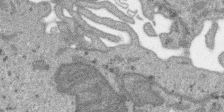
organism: Human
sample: Lung epithelial cells infected with SARS-CoV-2